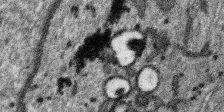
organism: Human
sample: Lung epithelial cells infected with SARS-CoV-2